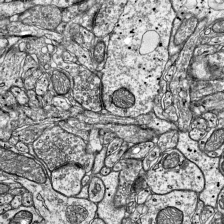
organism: Mouse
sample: Visual Cortex